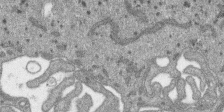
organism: Human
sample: Lung epithelial cells infected with SARS-CoV-2